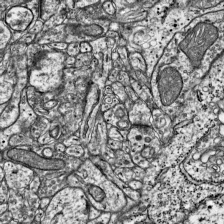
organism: Mouse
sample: Visual Cortex